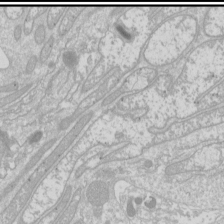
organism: Drosophila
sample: Cell division; meiosis; drosophila spermatocytes